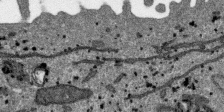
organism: Human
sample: Lung epithelial cells, uninfected (mock) control